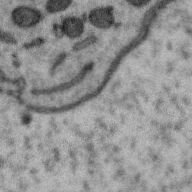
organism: Zebra finch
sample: Brain